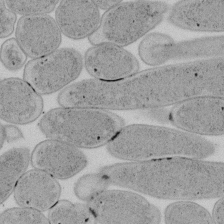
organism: E. coli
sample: Bacterial nucleoid